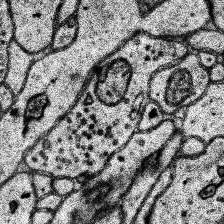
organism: Human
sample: Temporal Lobe